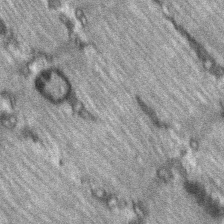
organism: C57BL Mouse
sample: Soleus